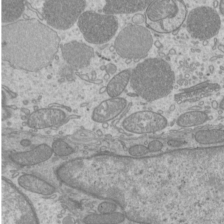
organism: Mouse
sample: Cilia; mouse epididymis